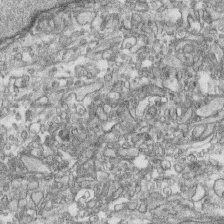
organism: Human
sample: CRL-1474